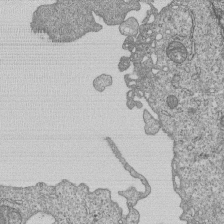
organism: Human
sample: MDA-MB-231 cells